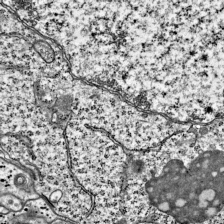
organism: Mouse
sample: Visual Cortex